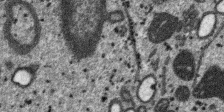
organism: Human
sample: Lung epithelial cells infected with SARS-CoV-2